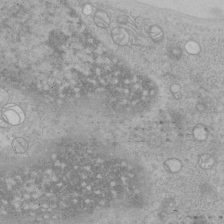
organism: Human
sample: Mitochondria in HCT116 cells